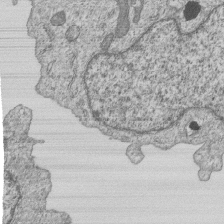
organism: Human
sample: MDA-MB-231 cells